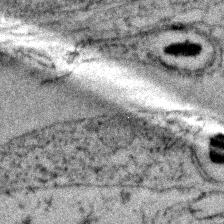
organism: Zebrafish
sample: Zebrafish embryo